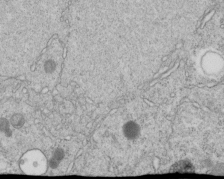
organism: C. elegans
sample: C. elegans embryo early stage